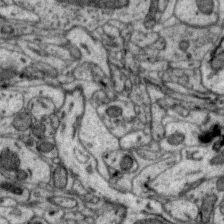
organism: Zebra finch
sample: Brain